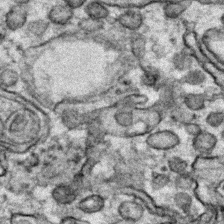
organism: Zebrafish